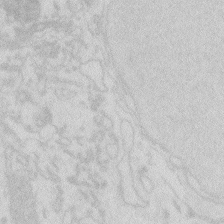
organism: Zebrafish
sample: Macrophage